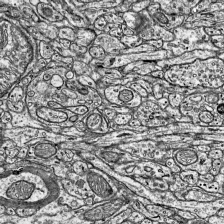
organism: Mouse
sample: Visual Cortex